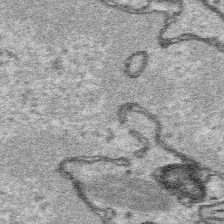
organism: Platynereis dumerilii